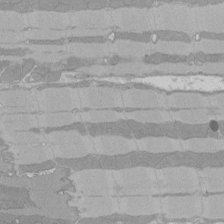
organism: Rat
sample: Left ventricle